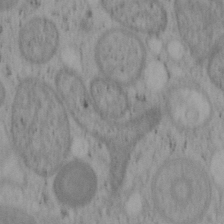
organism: Mouse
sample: OT-I killer T cells with ID8 ovarian cancer cells